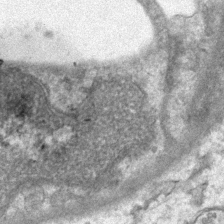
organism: Mouse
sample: CA1 Hippocampus